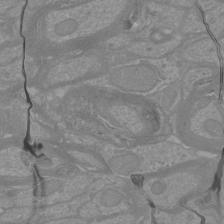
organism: Mouse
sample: Cortical neurons